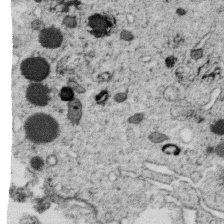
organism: C. elegans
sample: C. elegans oocyte; sperm cells